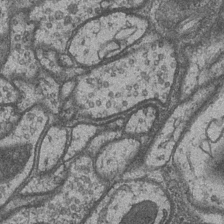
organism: Drosophila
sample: Optic medulla